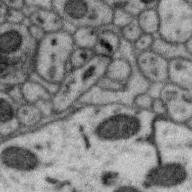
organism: Zebra finch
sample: Brain